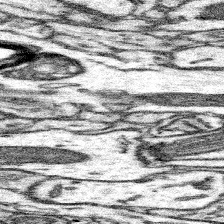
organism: Mouse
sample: Somatosensory cortex neuropil